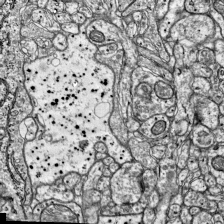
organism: Mouse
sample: Visual Cortex